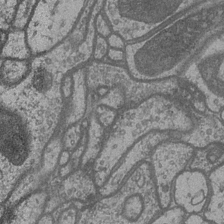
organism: Drosophila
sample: Optic medulla